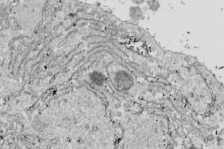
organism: Drosophila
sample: Cell division; meiosis; drosophila spermatocytes